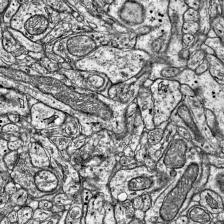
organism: Mouse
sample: Visual Cortex